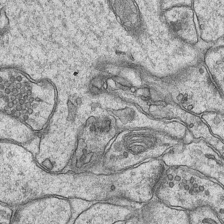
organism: Mouse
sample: CA1 Hippocampus